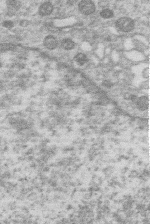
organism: Human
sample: Macrophage cells